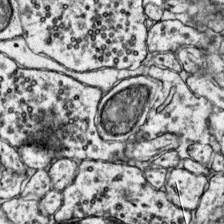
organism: Mouse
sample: Primary visual cortex